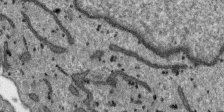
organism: Human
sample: Lung epithelial cells, uninfected (mock) control